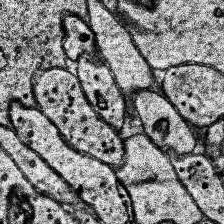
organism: Human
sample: Temporal Lobe